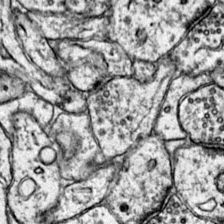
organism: Mouse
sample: Primary visual cortex